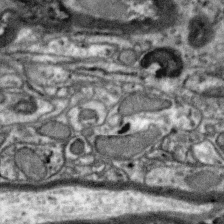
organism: Zebra finch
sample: Brain